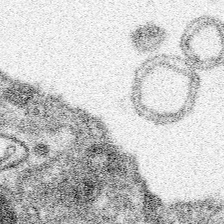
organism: Spongilla lacustris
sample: Neuroid cell